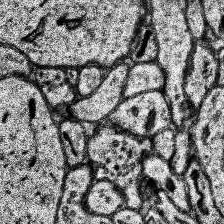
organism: Human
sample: Temporal Lobe